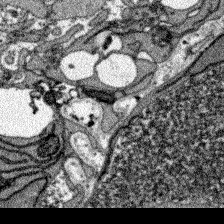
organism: Zebrafish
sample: Larval olfactory bulb